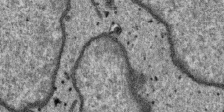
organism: Human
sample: Lung epithelial cells, uninfected (mock) control